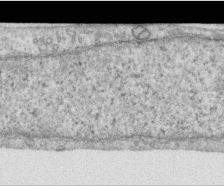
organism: Human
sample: Centriole in RPE cells